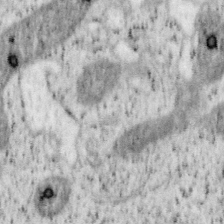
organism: Mouse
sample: OT-I killer T cells with ID8 ovarian cancer cells